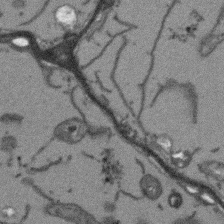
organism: Arabidopsis thaliana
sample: Root tip